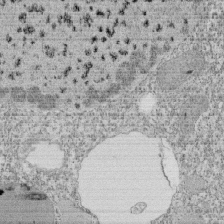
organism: Tetrahymena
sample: Cilia in tetrahymena